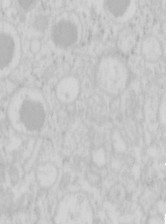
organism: Mouse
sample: Pancreas